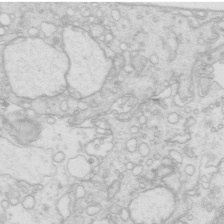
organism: Mouse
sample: Multiciliated cells